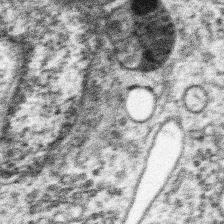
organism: Human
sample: HeLa cells